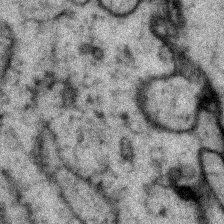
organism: Zebrafish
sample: Zebrafish embryo